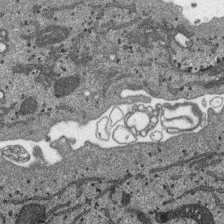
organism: Human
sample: Lung epithelial cells infected with SARS-CoV-2